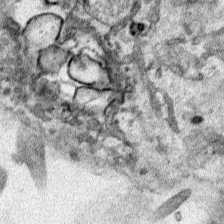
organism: Human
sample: Mitochondria in HCT116 cells